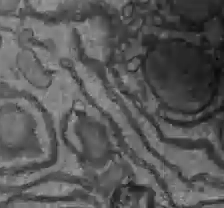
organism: C57BL Mouse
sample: Liver